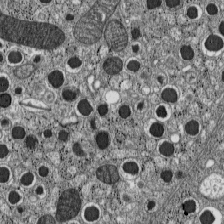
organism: C57BL Mouse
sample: Pancreatic islet